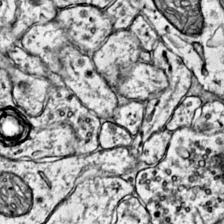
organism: Mouse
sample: Primary visual cortex